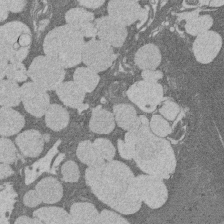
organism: Rat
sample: Salivary granule